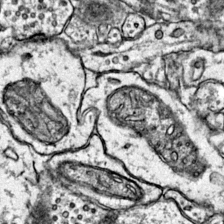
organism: Mouse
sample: Primary visual cortex